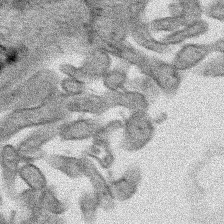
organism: Human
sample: Mitochondria in HCT116 cells